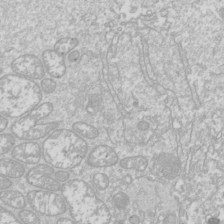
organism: Drosophila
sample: Cell division; meiosis; drosophila spermatocytes